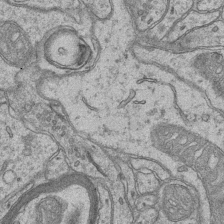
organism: Mouse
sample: CA1 Hippocampus